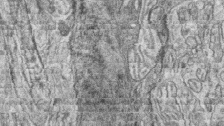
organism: Zebrafish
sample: synaptic ribbons in rod cells and cone cells